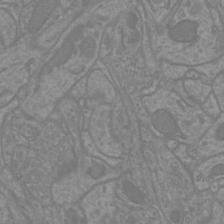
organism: Mouse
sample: Cortical neurons